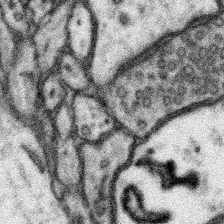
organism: Mouse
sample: Somatosensory cortex neuropil